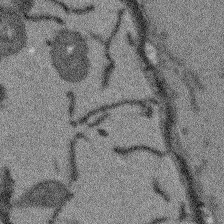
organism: Arabidopsis thaliana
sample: Root tip